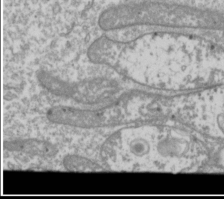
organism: Drosophila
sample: Cell division; meiosis; drosophila spermatocytes